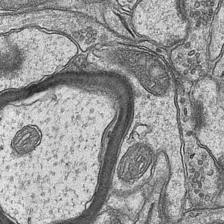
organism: Mouse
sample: CA1 Hippocampus